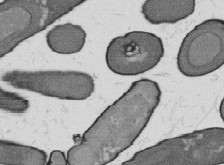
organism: B. subtilis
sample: Bacterial spore